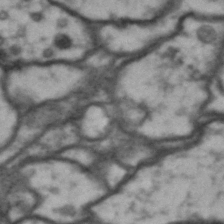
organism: Drosophila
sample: Brain